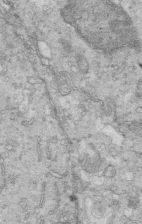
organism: Mouse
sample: Multiciliated cells